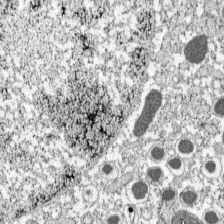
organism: C57BL Mouse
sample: Pancreatic islet